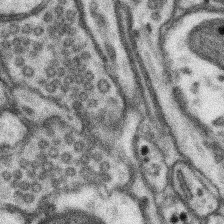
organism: Mouse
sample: Somatosensory cortex neuropil